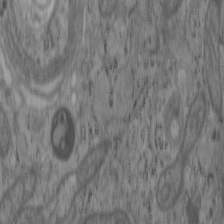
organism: Human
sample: HeLa cells